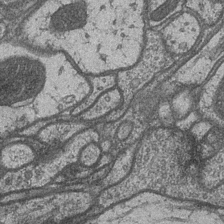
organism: Drosophila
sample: Optic medulla